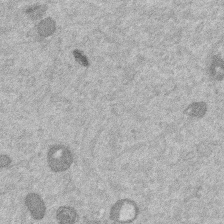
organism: Mouse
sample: Dividing mouse embryo 1 cell stage